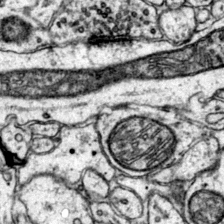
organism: Mouse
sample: Primary visual cortex